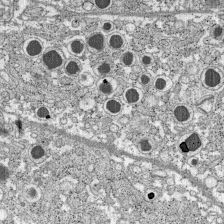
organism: C57BL Mouse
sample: Pancreatic islet